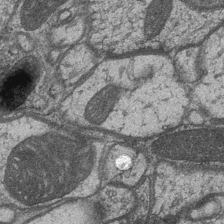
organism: Drosophila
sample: Optic medulla